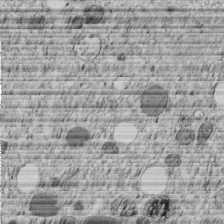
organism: C. elegans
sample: C. elegans embryo early stage